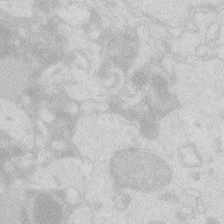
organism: Zebrafish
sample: Macrophage